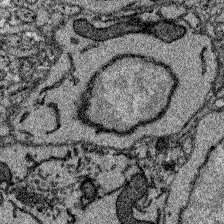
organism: Zebrafish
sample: Larval olfactory bulb